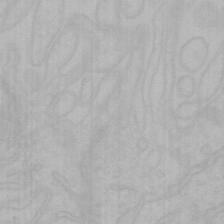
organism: Mouse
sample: Choroid plexus